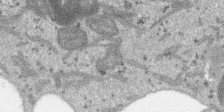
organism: Human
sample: Lung epithelial cells infected with SARS-CoV-2